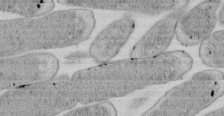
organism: E. coli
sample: Bacterial nucleoid